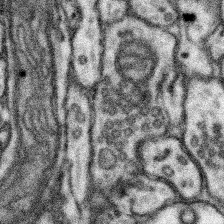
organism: Mouse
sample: Somatosensory cortex neuropil